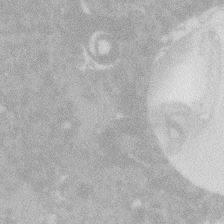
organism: Zebrafish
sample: Macrophage